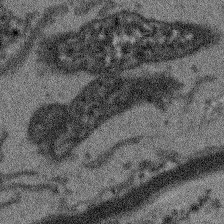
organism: Arabidopsis thaliana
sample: Root tip